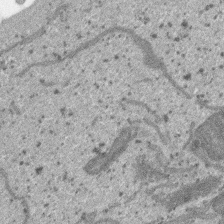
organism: Human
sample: Lung epithelial cells infected with SARS-CoV-2